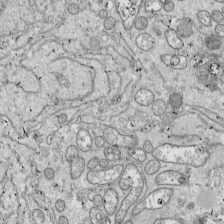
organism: Drosophila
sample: Cell division; meiosis; drosophila spermatocytes